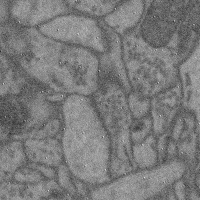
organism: Mouse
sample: Cerebral cortex